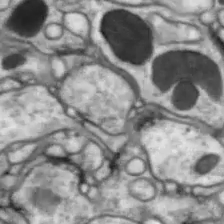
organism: Drosophila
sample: Optic lobe